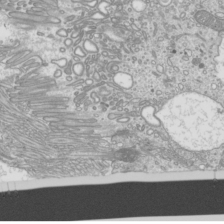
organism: Mouse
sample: Cilia; mouse epididymis